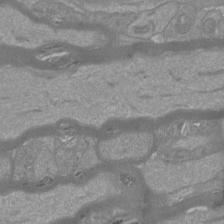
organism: Mouse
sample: Cortical neurons